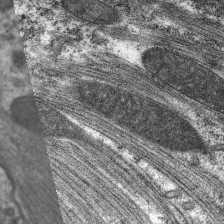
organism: C. elegans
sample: Pharynx